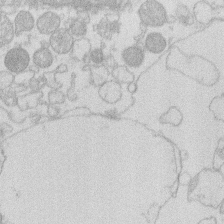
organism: Human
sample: Macrophage cells